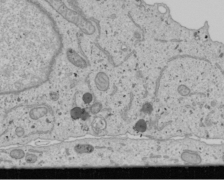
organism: Human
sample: Mitochondria in U2OS cells